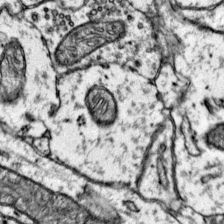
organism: Mouse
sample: Primary visual cortex